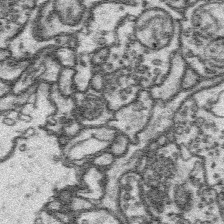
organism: Platynereis dumerilii